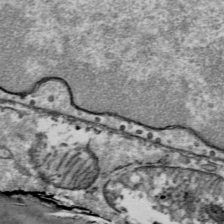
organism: Mouse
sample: Mouse Salivary gland